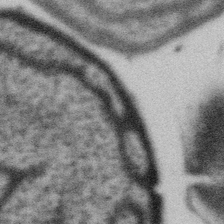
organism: Gemmata obscuriglobus